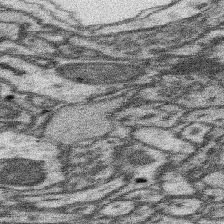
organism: Mouse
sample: Somatosensory cortex neuropil